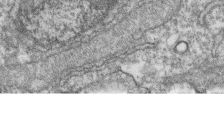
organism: Zebrafish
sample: Cilia; retinal pigment epithelium